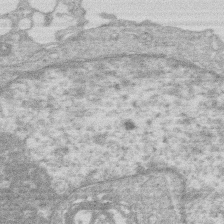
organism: Human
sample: Macrophage cells